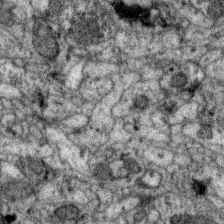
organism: Zebra finch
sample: Brain